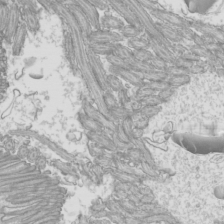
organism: Mouse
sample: Cilia; mouse epididymis